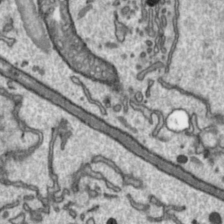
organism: Toxoplasma gondii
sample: Parasites in a vacuole inside a host cell